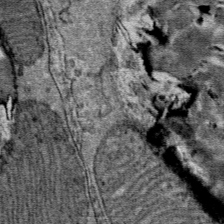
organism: Mouse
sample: Mouse Salivary gland